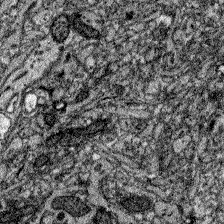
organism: Zebrafish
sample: Larval olfactory bulb